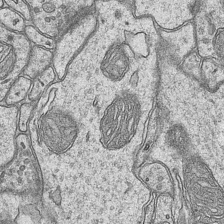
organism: Mouse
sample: CA1 Hippocampus